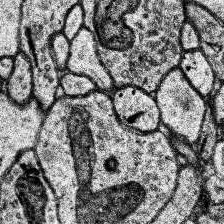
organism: Human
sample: Temporal Lobe